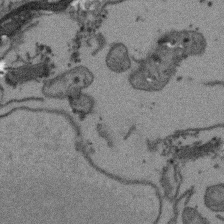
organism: Arabidopsis thaliana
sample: Root tip